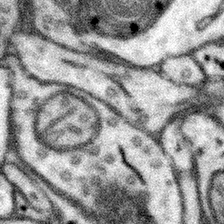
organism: Mouse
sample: Somatosensory cortex neuropil